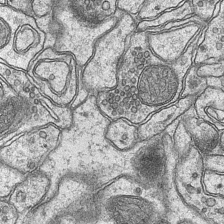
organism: Mouse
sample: CA1 Hippocampus